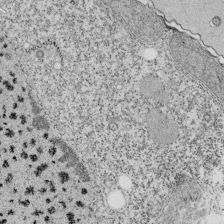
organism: Tetrahymena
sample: Cilia in tetrahymena